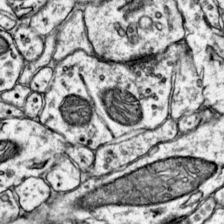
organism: Mouse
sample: Primary visual cortex